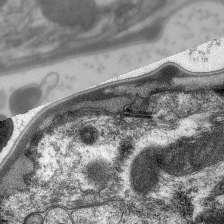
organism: C. elegans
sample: Pharynx